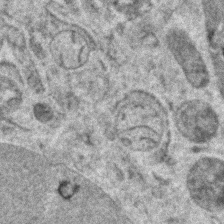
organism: Zebrafish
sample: Zebrafish embryo